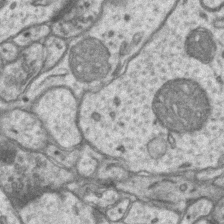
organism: Mouse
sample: CA1 Hippocampus